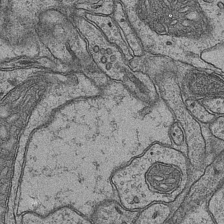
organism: Mouse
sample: CA1 Hippocampus